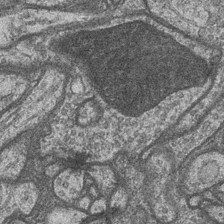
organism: Drosophila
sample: Optic medulla